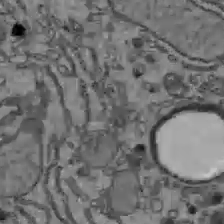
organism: C57BL Mouse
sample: Liver